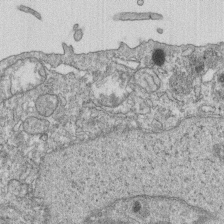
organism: Human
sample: HeLa cell HIV synapse